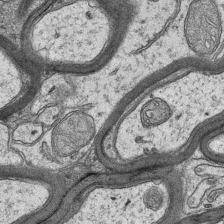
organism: Mouse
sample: CA1 Hippocampus